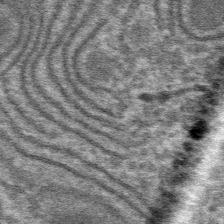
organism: Mouse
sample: Mouse hepatocytes